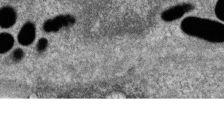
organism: Zebrafish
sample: Cilia; retinal pigment epithelium